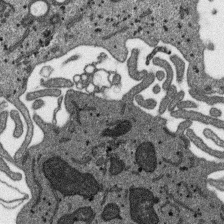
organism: Human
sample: Lung epithelial cells infected with SARS-CoV-2